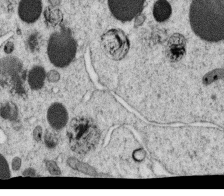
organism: C. elegans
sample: C. elegans oocyte; sperm cells